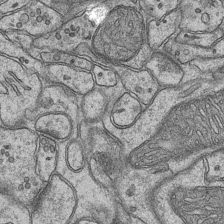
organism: Mouse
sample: CA1 Hippocampus